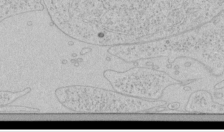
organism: Human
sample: Mitochondria in HCT116 cells